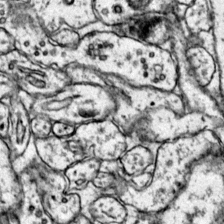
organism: Mouse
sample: Primary visual cortex